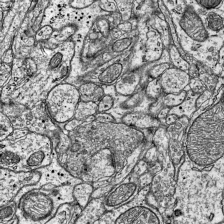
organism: Mouse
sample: Visual Cortex